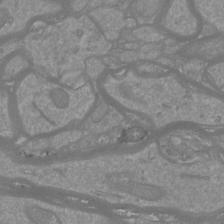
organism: Mouse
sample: Cortical neurons